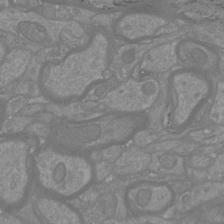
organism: Mouse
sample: Cortical neurons